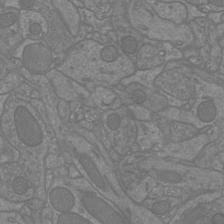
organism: Mouse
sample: Cortical neurons